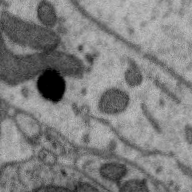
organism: Zebra finch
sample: Brain